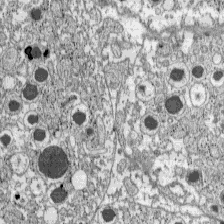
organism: C57BL Mouse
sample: Pancreatic islet